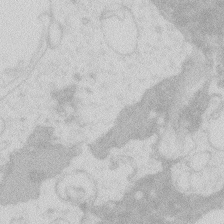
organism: Zebrafish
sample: Macrophage